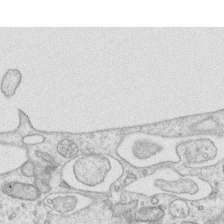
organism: Human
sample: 1205lu cells